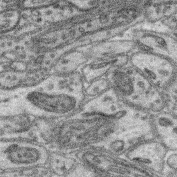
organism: Mouse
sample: Retina